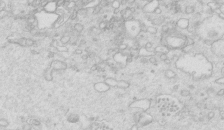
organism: Mouse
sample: Multiciliated cells